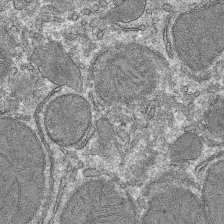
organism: Mouse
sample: Mouse hepatocytes